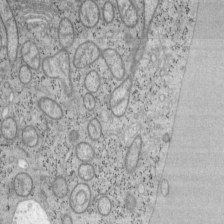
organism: Mouse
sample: OT-I killer T cells with ID8 ovarian cancer cells